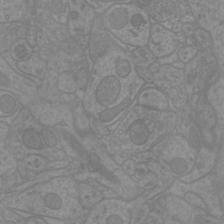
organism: Mouse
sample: Cortical neurons